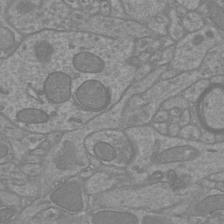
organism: Mouse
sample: Cortical neurons